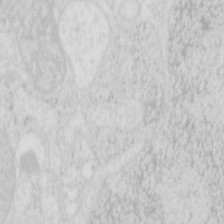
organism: Mouse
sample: Pancreas